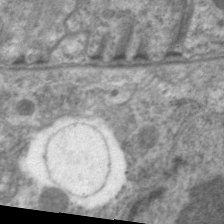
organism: C. elegans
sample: Pharynx